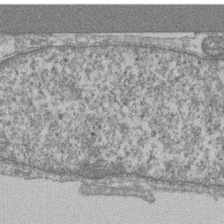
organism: Mouse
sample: T cell stromal cell synapse